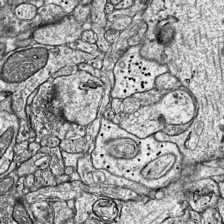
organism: Mouse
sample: Visual Cortex